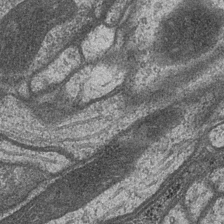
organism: Drosophila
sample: Optic medulla